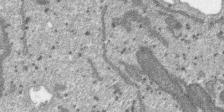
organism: Human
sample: Lung epithelial cells infected with SARS-CoV-2